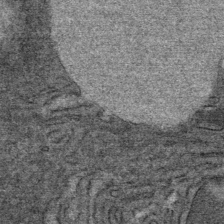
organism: Mouse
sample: Mouse Salivary gland